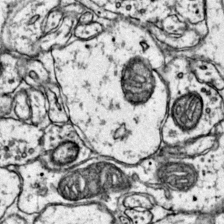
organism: Mouse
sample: Primary visual cortex